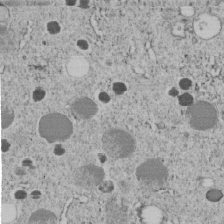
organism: C. elegans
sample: C. elegans embryo early stage